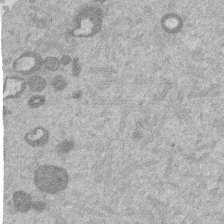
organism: Mouse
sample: Dividing mouse embryo 1 cell stage